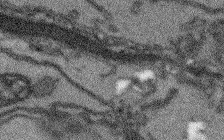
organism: Arabidopsis thaliana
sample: Root tip